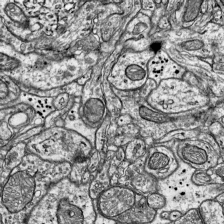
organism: Mouse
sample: Visual Cortex